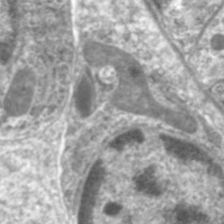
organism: C. elegans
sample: Pharynx